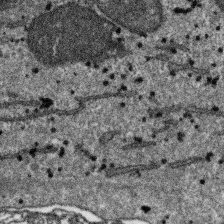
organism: Human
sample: Lung epithelial cells infected with SARS-CoV-2